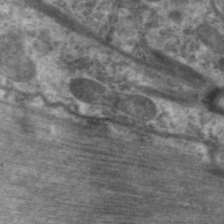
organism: C. elegans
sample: Pharynx